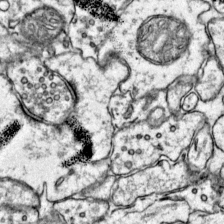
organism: Mouse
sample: Primary visual cortex